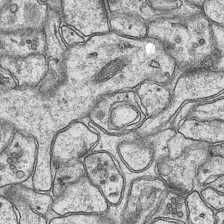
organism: Mouse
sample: CA1 Hippocampus